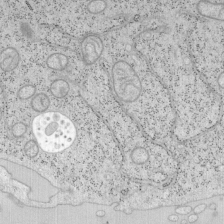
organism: Mouse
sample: OT-I killer T cells with ID8 ovarian cancer cells